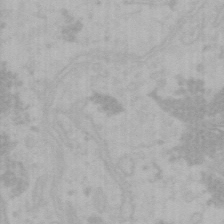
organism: Mouse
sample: Choroid plexus